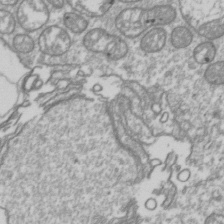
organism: Drosophila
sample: Cell division; meiosis; drosophila spermatocytes